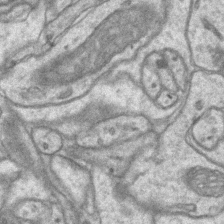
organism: Mouse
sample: CA1 Hippocampus